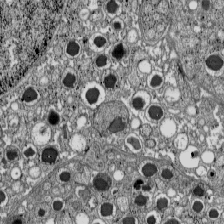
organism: C57BL Mouse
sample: Pancreatic islet